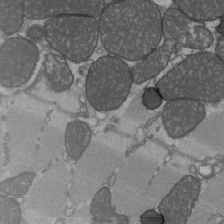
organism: C57BL Mouse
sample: Heart